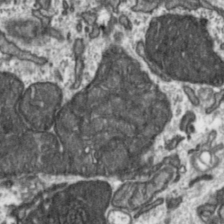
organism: Toxoplasma gondii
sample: Parasites in a vacuole inside a host cell